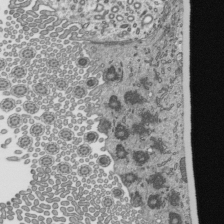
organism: Mouse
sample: Mouse epididymis efferent ductule cilia